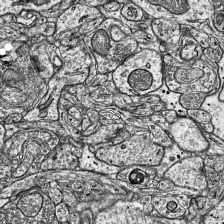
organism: Mouse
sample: Visual Cortex